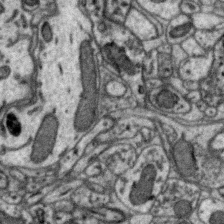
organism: Zebra finch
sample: Brain